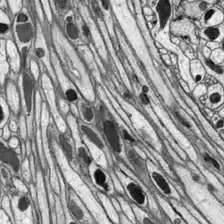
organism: Drosophila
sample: Optic lobe